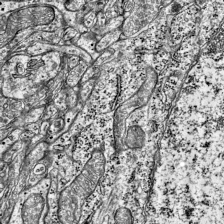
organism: Mouse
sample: Visual Cortex